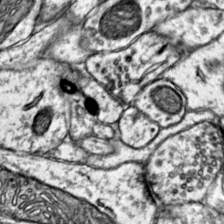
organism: Mouse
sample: Primary visual cortex